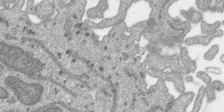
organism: Human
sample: Lung epithelial cells infected with SARS-CoV-2